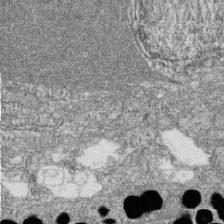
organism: Zebrafish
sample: Cilia; retinal pigment epithelium